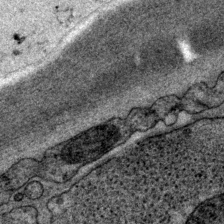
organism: P. pacificus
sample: Pharynx